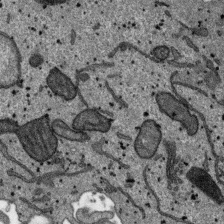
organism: Human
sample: Lung epithelial cells, uninfected (mock) control